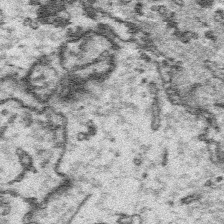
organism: Platynereis dumerilii